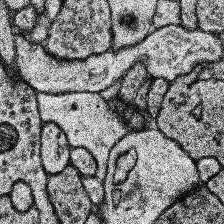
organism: Human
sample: Temporal Lobe